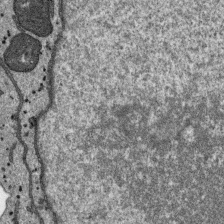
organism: Human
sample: Lung epithelial cells, uninfected (mock) control